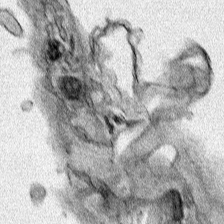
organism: Human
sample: Mitochondria in HCT116 cells